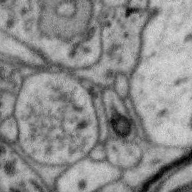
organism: Zebra finch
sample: Brain